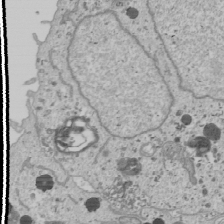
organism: Human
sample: Mitochondria in U2OS cells